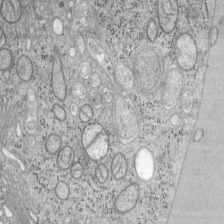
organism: Mouse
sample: OT-I killer T cells with ID8 ovarian cancer cells